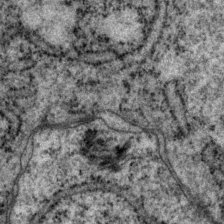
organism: P. pacificus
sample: Pharynx